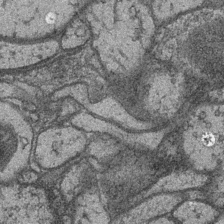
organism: Drosophila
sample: Optic medulla